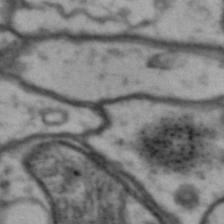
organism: Drosophila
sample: Brain